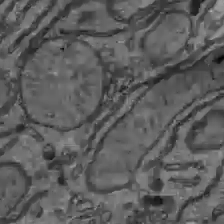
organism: C57BL Mouse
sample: Liver